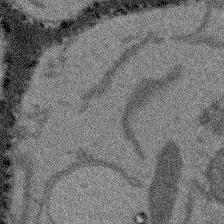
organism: Arabidopsis thaliana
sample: Root tip